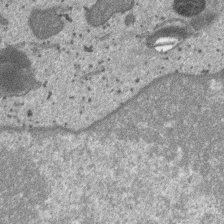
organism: Human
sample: Lung epithelial cells infected with SARS-CoV-2